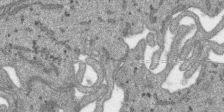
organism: Human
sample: Lung epithelial cells infected with SARS-CoV-2